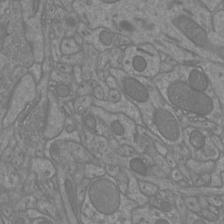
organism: Mouse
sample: Cortical neurons